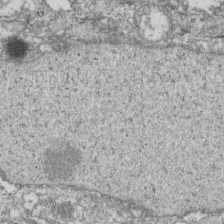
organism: Human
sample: HeLa cell HIV synapse